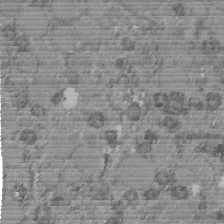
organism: C. elegans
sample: C. elegans embryo early stage